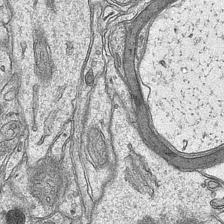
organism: Mouse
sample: CA1 Hippocampus